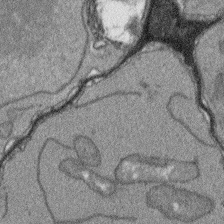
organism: Arabidopsis thaliana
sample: Root tip